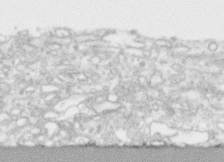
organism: Human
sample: CRL-1474